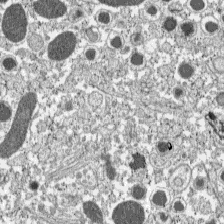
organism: C57BL Mouse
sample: Pancreatic islet